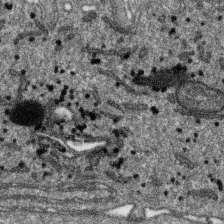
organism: Human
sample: Lung epithelial cells infected with SARS-CoV-2